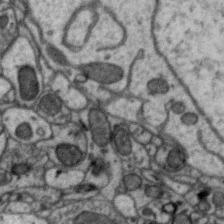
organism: Zebra finch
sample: Brain